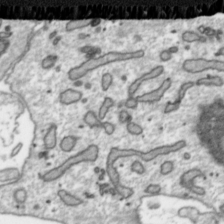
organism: Toxoplasma gondii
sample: Parasites in a vacuole inside a host cell